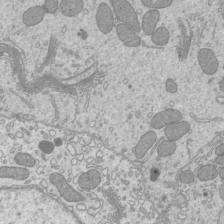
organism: Mouse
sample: Cilia; mouse epididymis